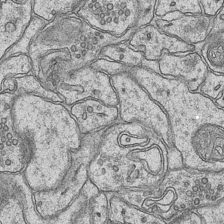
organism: Mouse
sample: CA1 Hippocampus